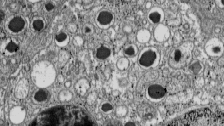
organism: C57BL Mouse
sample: Pancreatic islet